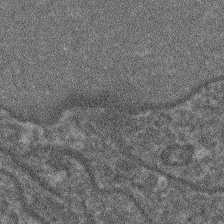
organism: Arabidopsis thaliana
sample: Root tip